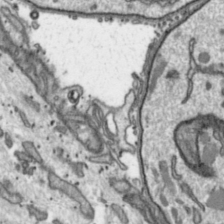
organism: Toxoplasma gondii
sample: Parasites in a vacuole inside a host cell